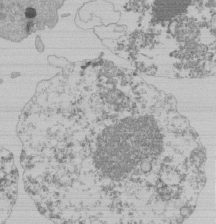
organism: Mouse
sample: Activated Pmel transgenic CD8+ T Cells